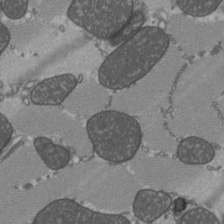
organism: C57BL Mouse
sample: Heart